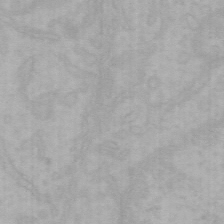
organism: Mouse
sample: Choroid plexus